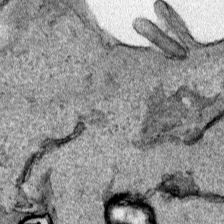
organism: Human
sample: Mitochondria in HCT116 cells